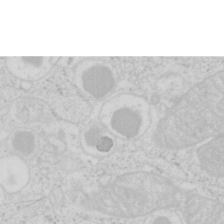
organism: Mouse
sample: Pancreas